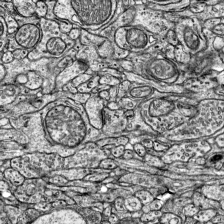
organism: Mouse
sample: Visual Cortex